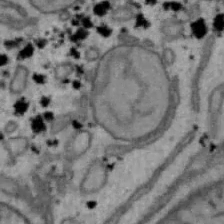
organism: Mouse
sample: Liver